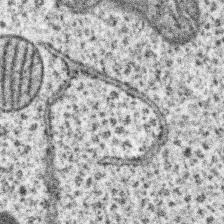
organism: Human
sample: HeLa cells